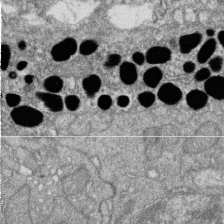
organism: Zebrafish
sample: Cilia; retinal pigment epithelium